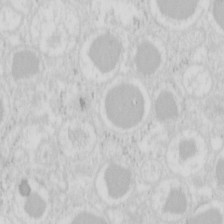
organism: Mouse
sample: Pancreas